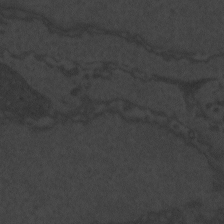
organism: Zebrafish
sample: Macrophage infected with Toxoplasma gondii